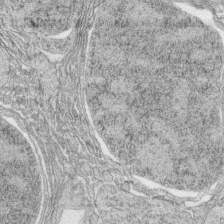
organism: Zebrafish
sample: synaptic ribbons in rod cells and cone cells